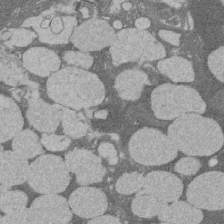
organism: Rat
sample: Salivary granule